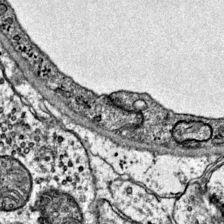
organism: Mouse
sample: Primary visual cortex